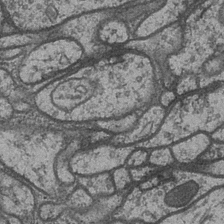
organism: Drosophila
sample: Optic medulla